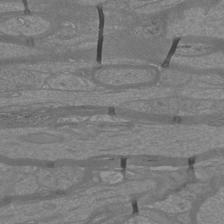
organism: Mouse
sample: Cortical neurons